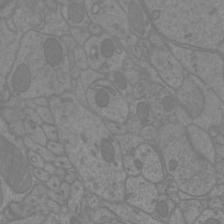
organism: Mouse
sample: Cortical neurons